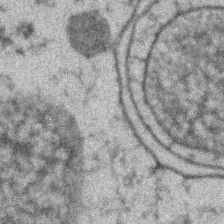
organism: Zebrafish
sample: Zebrafish embryo